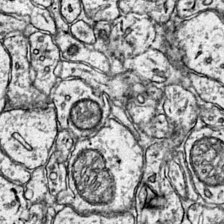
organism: Mouse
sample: Primary visual cortex